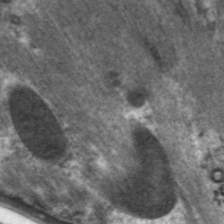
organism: C. elegans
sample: Pharynx